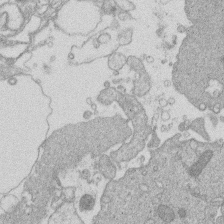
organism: Human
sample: Macrophage cells